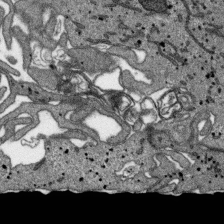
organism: Human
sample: Lung epithelial cells, uninfected (mock) control